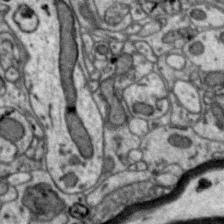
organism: Zebra finch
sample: Brain